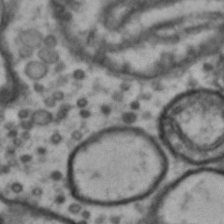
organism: Drosophila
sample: Brain